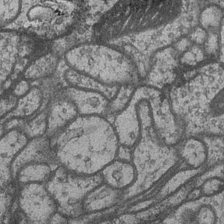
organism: Drosophila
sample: Optic medulla